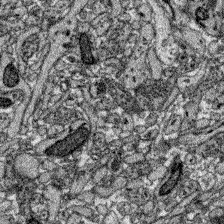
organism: Zebrafish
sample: Larval olfactory bulb